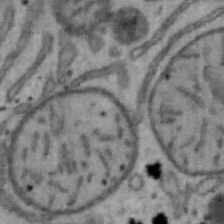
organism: Mouse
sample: Liver